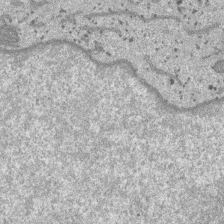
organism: Human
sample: Lung epithelial cells infected with SARS-CoV-2